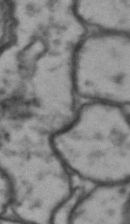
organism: Drosophila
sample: Brain